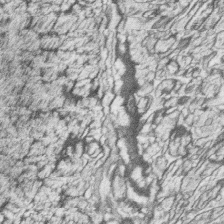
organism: Zebrafish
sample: synaptic ribbons in rod cells and cone cells